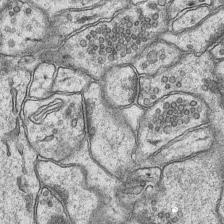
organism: Mouse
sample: CA1 Hippocampus